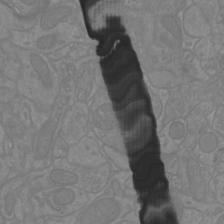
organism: Mouse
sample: Cortical neurons